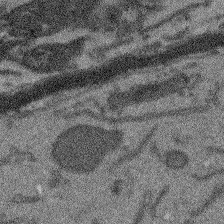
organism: Arabidopsis thaliana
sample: Root tip